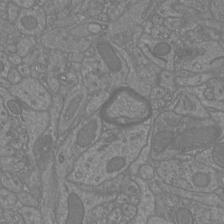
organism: Mouse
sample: Cortical neurons